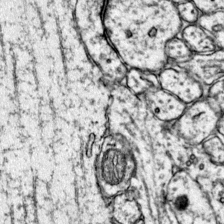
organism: Mouse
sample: Primary visual cortex